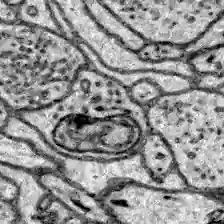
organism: Zebrafish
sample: Brain